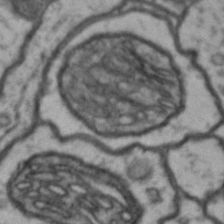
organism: Drosophila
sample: Brain